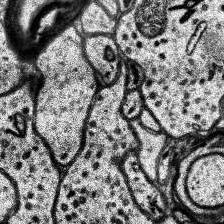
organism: Human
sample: Temporal Lobe